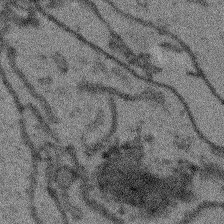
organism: Arabidopsis thaliana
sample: Root tip